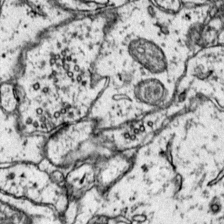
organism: Mouse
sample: Primary visual cortex